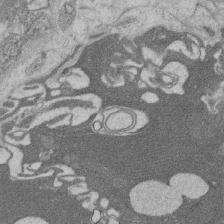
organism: Rat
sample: Salivary granule